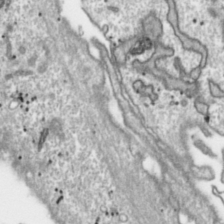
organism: Toxoplasma gondii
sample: Parasites in a vacuole inside a host cell